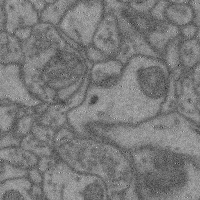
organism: Mouse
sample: Cerebral cortex